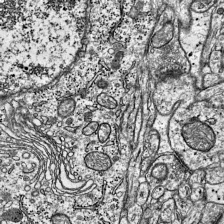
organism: Mouse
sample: Visual Cortex